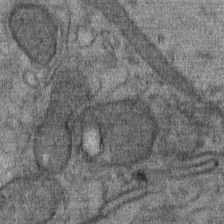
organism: Mouse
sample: Mouse Salivary gland